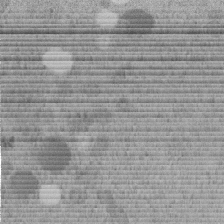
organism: C. elegans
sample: C. elegans embryo early stage